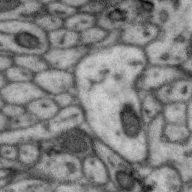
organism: Zebra finch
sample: Brain